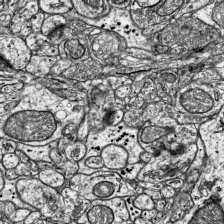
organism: Mouse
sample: Visual Cortex